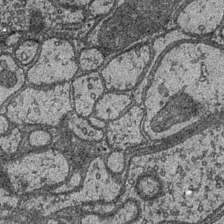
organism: Drosophila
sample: Optic medulla